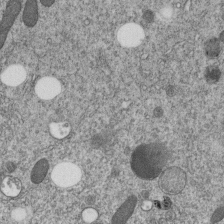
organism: C. elegans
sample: C. elegans embryo early stage